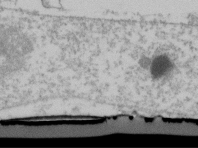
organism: Human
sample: U2-OS cells